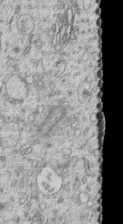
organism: Human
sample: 1205lu cells